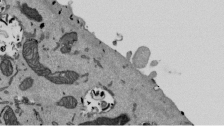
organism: Mouse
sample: ED-1 cell nuclei; centrioles